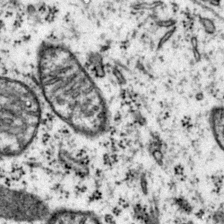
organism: Mouse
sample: Primary visual cortex